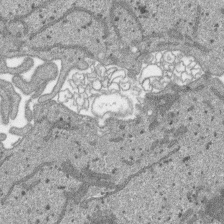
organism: Human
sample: Lung epithelial cells infected with SARS-CoV-2